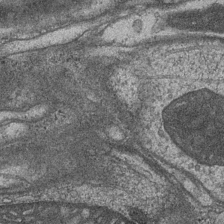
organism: Drosophila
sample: Optic medulla